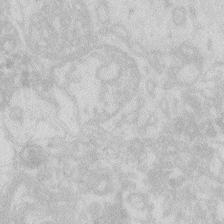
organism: Zebrafish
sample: Macrophage